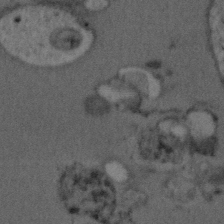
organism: Human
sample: HeLa cells